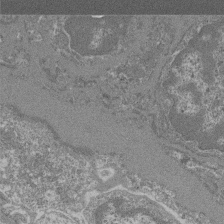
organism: Mouse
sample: Glomerulus